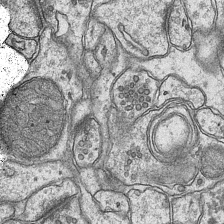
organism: Mouse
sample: CA1 Hippocampus